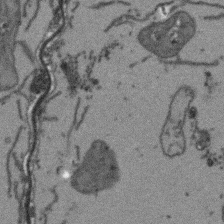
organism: Arabidopsis thaliana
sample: Root tip